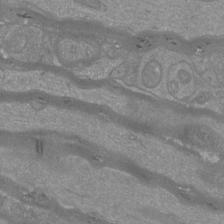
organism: Mouse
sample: Cortical neurons